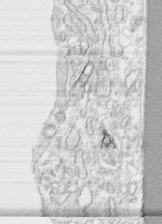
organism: Human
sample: CRL-1474